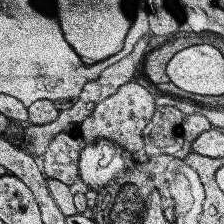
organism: Human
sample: Temporal Lobe